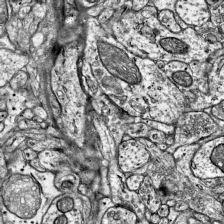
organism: Mouse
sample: Visual Cortex